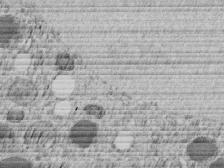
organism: C. elegans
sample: C. elegans embryo early stage